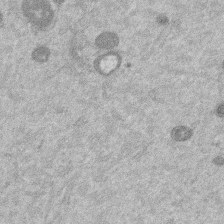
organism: Mouse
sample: Dividing mouse embryo 1 cell stage